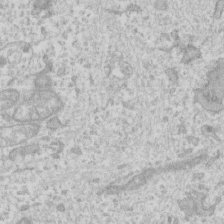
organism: Human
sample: Fibroblast cells